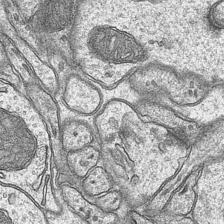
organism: Mouse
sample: CA1 Hippocampus